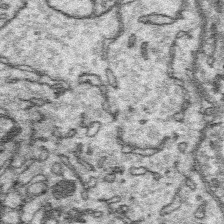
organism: Platynereis dumerilii